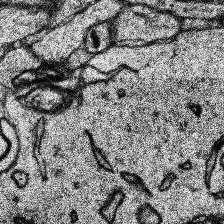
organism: Human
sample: Temporal Lobe